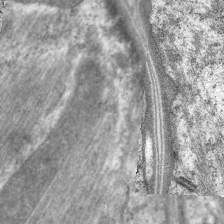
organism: C. elegans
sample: Pharynx